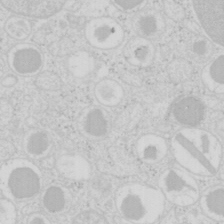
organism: Mouse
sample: Pancreas